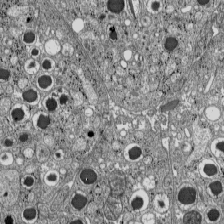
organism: C57BL Mouse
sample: Pancreatic islet